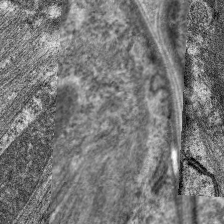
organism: C. elegans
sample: Pharynx